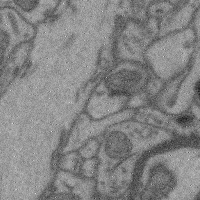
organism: Mouse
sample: Cerebral cortex